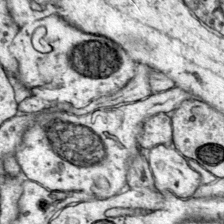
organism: Mouse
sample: Primary visual cortex